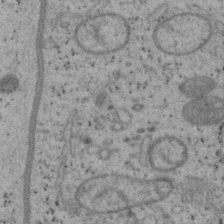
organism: Human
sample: HeLa cells